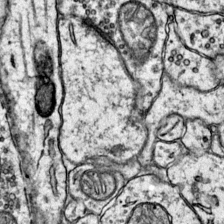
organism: Mouse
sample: Primary visual cortex